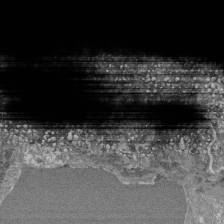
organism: Mouse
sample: Glomerulus